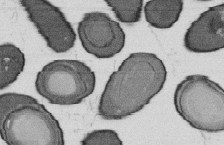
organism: B. subtilis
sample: Bacterial spore